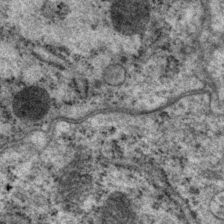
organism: P. pacificus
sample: Pharynx